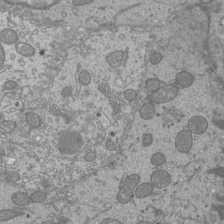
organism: Mouse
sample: Cilia; mouse epididymis